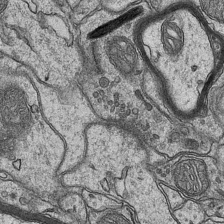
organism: Mouse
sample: CA1 Hippocampus